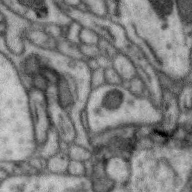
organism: Zebra finch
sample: Brain